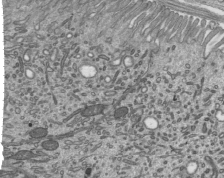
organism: Mouse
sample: Mouse epididymis efferent ductule cilia